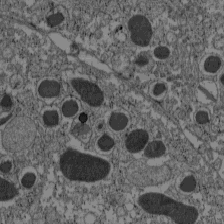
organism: C57BL Mouse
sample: Pancreatic islet